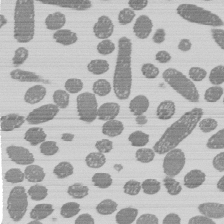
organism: E. coli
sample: Bacterial nucleoid